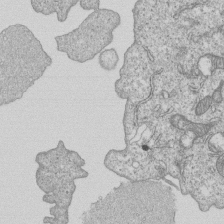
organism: Human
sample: MDA-MB-231 cells